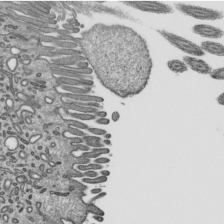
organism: Mouse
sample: Mouse epididymis efferent ductule cilia